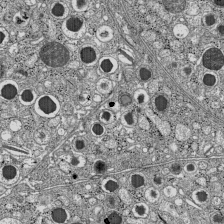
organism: C57BL Mouse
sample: Pancreatic islet